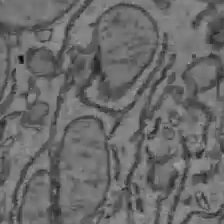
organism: C57BL Mouse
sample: Liver